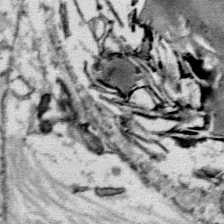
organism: Mouse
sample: Mouse Salivary gland